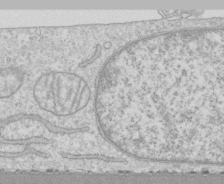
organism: Human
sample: CRL-1474